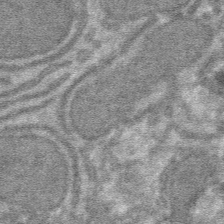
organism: Mouse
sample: Mouse hepatocytes